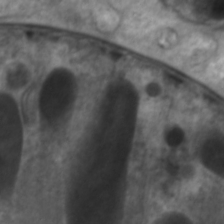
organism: C. elegans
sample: Pharynx